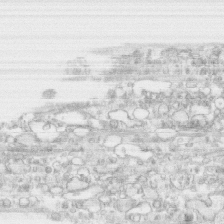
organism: Human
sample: CRL-1474